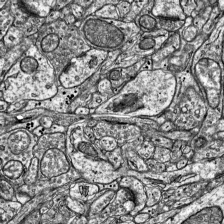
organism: Mouse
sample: Visual Cortex